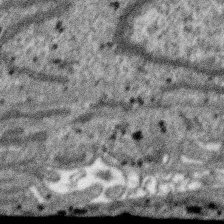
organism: Human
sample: Lung epithelial cells infected with SARS-CoV-2